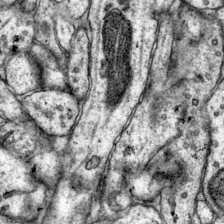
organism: Mouse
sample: Primary visual cortex